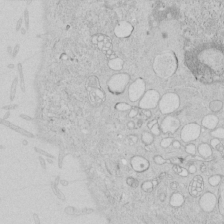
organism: Human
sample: Mitochondria in HCT116 cells